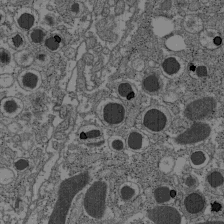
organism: C57BL Mouse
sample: Pancreatic islet